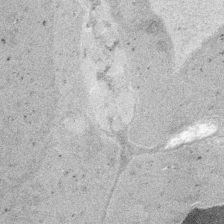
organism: Embia sp.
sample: Silk gland